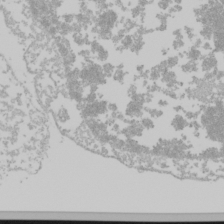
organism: Mouse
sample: Cancer cell death in ED-1 cells